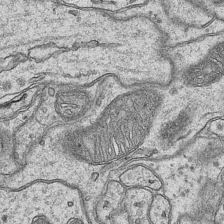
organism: Mouse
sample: CA1 Hippocampus